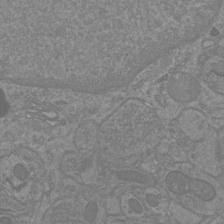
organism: Mouse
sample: Cortical neurons